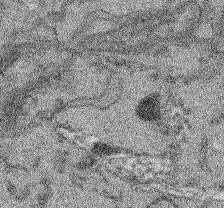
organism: Human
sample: HeLa cells